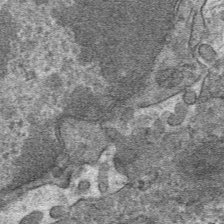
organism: Mouse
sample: Mouse hepatocytes